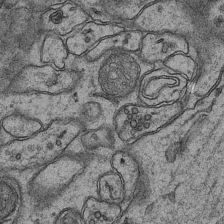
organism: Mouse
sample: CA1 Hippocampus